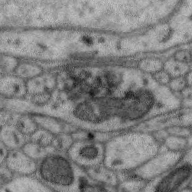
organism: Zebra finch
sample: Brain